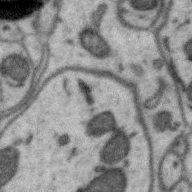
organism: Zebra finch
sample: Brain